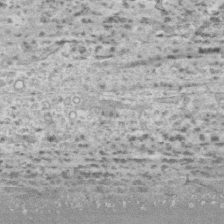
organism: Human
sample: CRL-1474